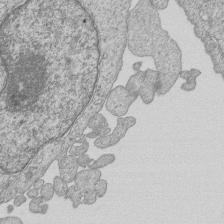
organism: Human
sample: MDA-MB-231 cells